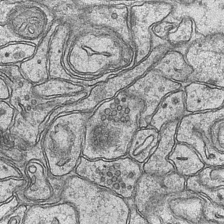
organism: Mouse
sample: CA1 Hippocampus